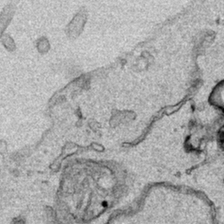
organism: Human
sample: Mitochondria in HCT116 cells